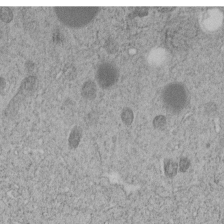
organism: C. elegans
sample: C. elegans embryo early stage